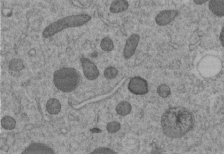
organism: C. elegans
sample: C. elegans embryo early stage